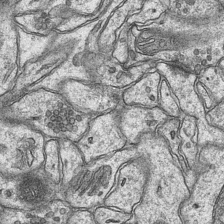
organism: Mouse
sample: CA1 Hippocampus